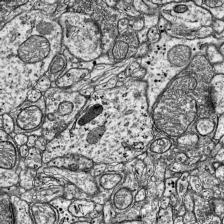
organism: Mouse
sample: Visual Cortex